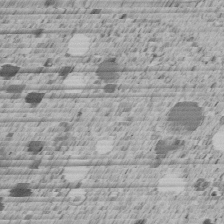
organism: C. elegans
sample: C. elegans embryo early stage